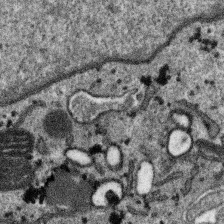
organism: Human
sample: Lung epithelial cells infected with SARS-CoV-2